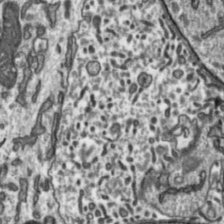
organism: Toxoplasma gondii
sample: Parasites in a vacuole inside a host cell